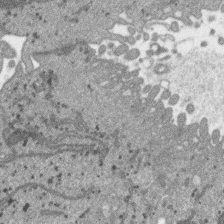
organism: Human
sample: Lung epithelial cells infected with SARS-CoV-2